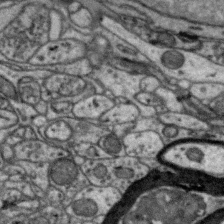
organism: Zebra finch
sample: Brain